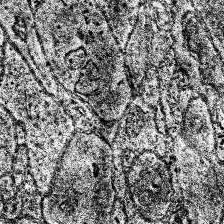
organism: Human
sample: Temporal Lobe